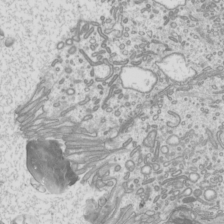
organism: Mouse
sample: Cilia; mouse epididymis